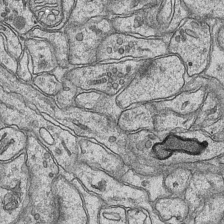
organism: Mouse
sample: CA1 Hippocampus